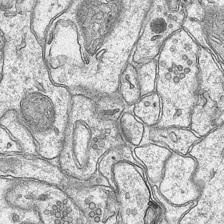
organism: Mouse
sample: CA1 Hippocampus